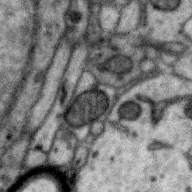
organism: Zebra finch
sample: Brain